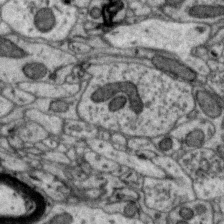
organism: Zebra finch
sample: Brain